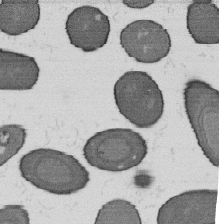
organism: B. subtilis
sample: Bacterial spore